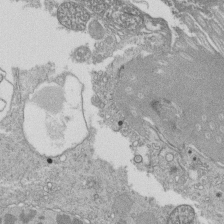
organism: Tetrahymena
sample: Cilia in tetrahymena